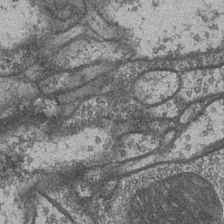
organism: Drosophila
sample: Optic medulla